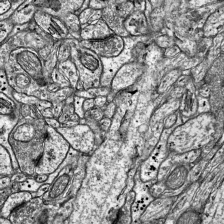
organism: Mouse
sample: Visual Cortex